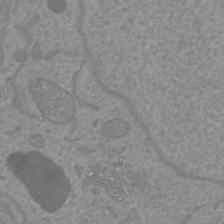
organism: Mouse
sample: Cortical neurons